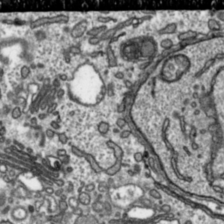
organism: Toxoplasma gondii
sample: Parasites in a vacuole inside a host cell